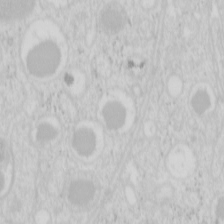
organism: Mouse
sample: Pancreas